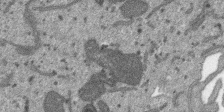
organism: Human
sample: Lung epithelial cells infected with SARS-CoV-2